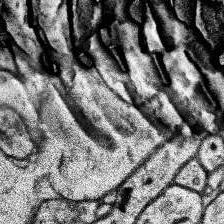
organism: Human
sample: Temporal Lobe